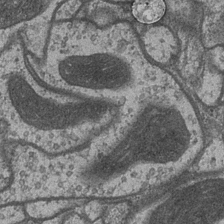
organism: Drosophila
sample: Optic medulla